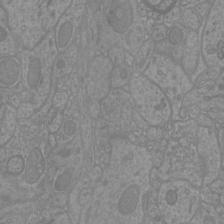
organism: Mouse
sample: Cortical neurons